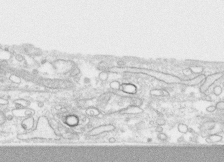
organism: Human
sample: CRL-1474